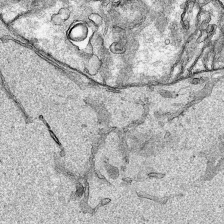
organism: Human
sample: Mitochondria in HCT116 cells